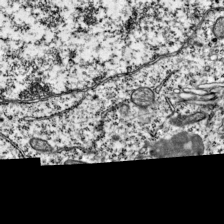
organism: Mouse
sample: Visual Cortex